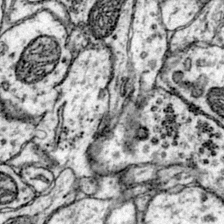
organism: Mouse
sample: Primary visual cortex